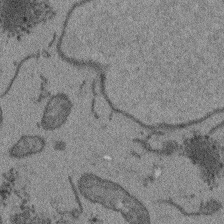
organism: Arabidopsis thaliana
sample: Root tip